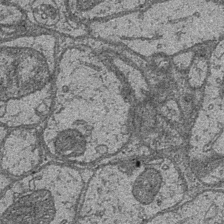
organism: Drosophila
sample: Optic medulla